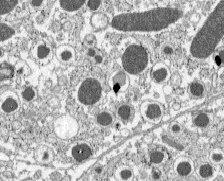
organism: C57BL Mouse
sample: Pancreatic islet